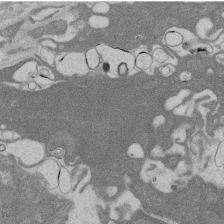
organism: Rat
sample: Salivary granule